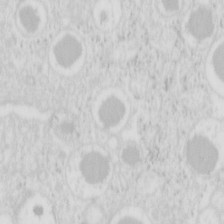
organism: Mouse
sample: Pancreas